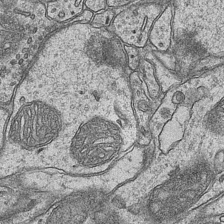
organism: Mouse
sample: CA1 Hippocampus